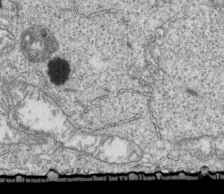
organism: Human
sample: HeLa cell HIV synapse